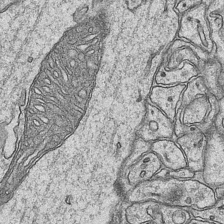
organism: Mouse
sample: CA1 Hippocampus